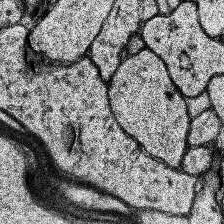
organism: Human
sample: Temporal Lobe